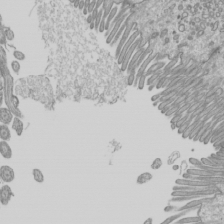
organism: Mouse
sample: Cilia; mouse epididymis